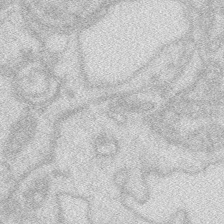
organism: Zebrafish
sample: Macrophage